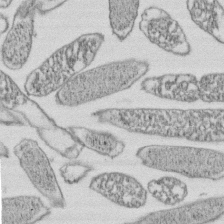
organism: E. coli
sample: Bacterial nucleoid